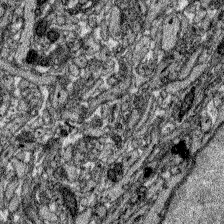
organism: Zebrafish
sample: Larval olfactory bulb